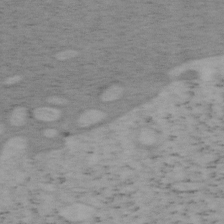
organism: Mouse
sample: OT-I killer T cells with ID8 ovarian cancer cells